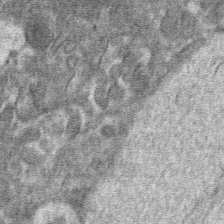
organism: Mouse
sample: Mouse hepatocytes